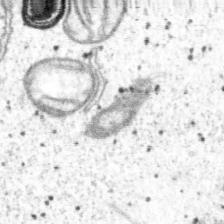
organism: Human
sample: HeLa cells